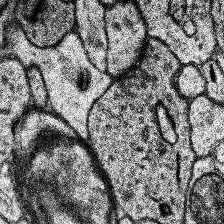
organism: Human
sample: Temporal Lobe